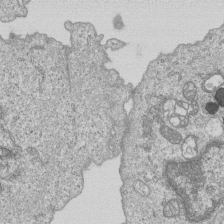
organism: Human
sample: MDA-MB-231 cells